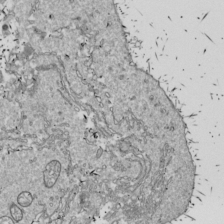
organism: Drosophila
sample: Cell division; meiosis; drosophila spermatocytes